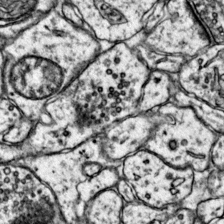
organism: Mouse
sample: Primary visual cortex